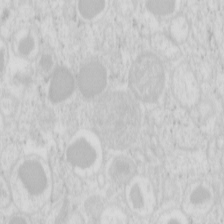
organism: Mouse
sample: Pancreas